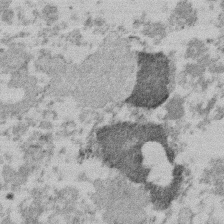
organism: Mouse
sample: Dividing mouse embryo 1 cell stage